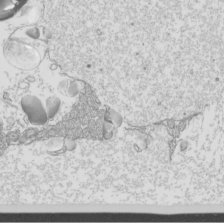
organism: Mouse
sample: Cilia; mouse epididymis